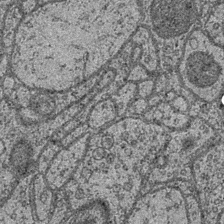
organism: Drosophila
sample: Optic medulla